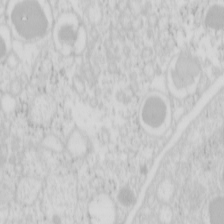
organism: Mouse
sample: Pancreas